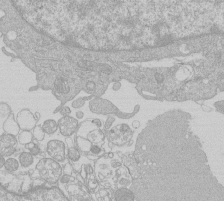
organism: Human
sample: Macrophage cells